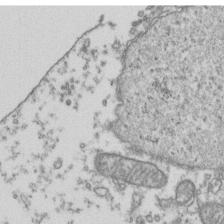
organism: Human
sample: Activated Jurkat CD4+ T cells